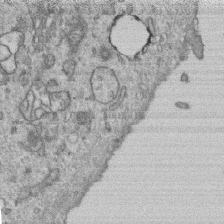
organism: Human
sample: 1205lu cells